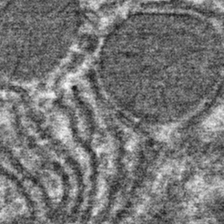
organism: Mouse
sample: Mouse hepatocytes